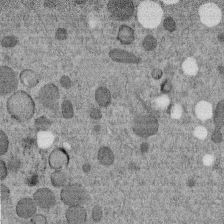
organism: C. elegans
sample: C. elegans embryo early stage